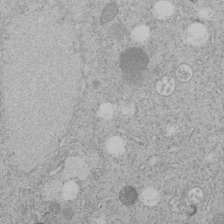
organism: C. elegans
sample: C. elegans embryo early stage